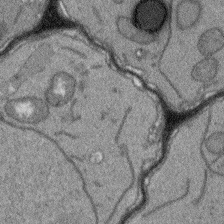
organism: Arabidopsis thaliana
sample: Root tip